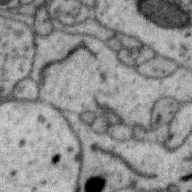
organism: Zebra finch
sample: Brain